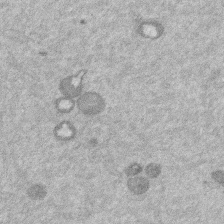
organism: Mouse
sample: Dividing mouse embryo 1 cell stage